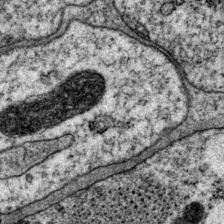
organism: P. pacificus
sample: Pharynx